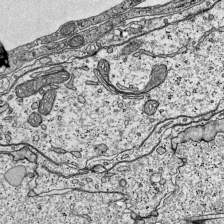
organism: Mouse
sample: Visual Cortex